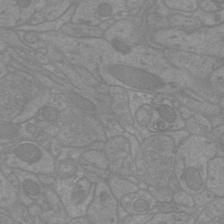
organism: Mouse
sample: Cortical neurons